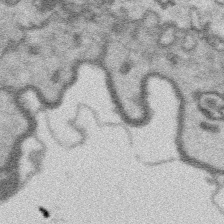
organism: Platynereis dumerilii